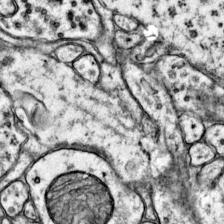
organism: Mouse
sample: Primary visual cortex